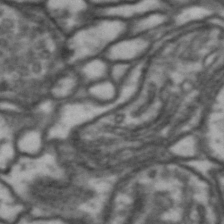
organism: Drosophila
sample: Brain